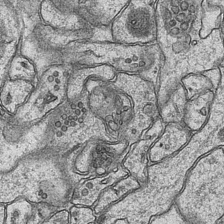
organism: Mouse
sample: CA1 Hippocampus